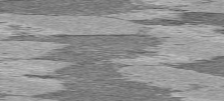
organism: C57BL Mouse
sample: Heart